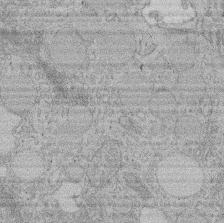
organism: Rat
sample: Salivary granule